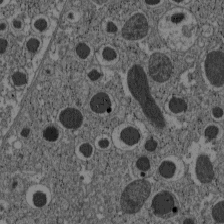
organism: C57BL Mouse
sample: Pancreatic islet